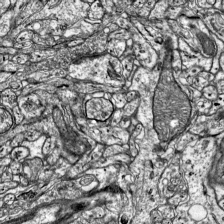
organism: Mouse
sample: Visual Cortex